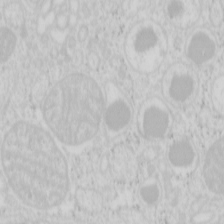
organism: Mouse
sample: Pancreas